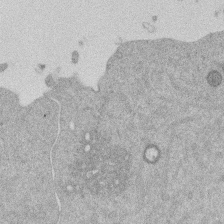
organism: Mouse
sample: Dividing mouse embryo 1 cell stage